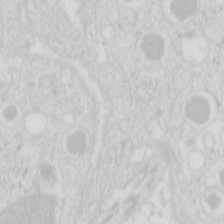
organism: Mouse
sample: Pancreas